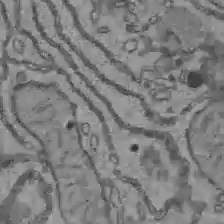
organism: C57BL Mouse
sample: Liver